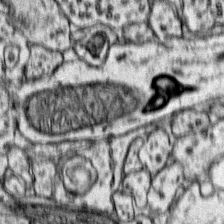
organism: Mouse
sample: Primary visual cortex